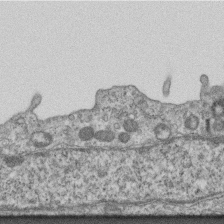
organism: Mouse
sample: Centriole in ependymal cells